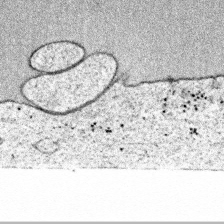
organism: Human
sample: HeLa cells